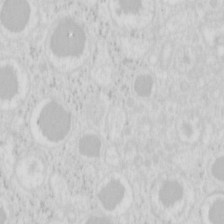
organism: Mouse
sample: Pancreas